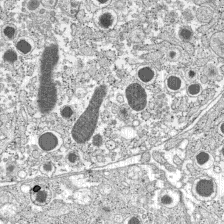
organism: C57BL Mouse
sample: Pancreatic islet